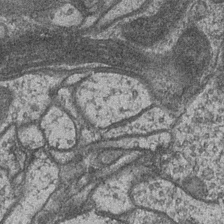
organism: Drosophila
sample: Optic medulla